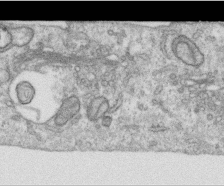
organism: Human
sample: Centriole in RPE cells